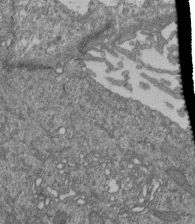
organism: Human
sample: Retinal organoid Rod and Cone cells